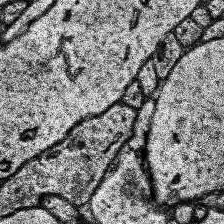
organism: Human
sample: Temporal Lobe